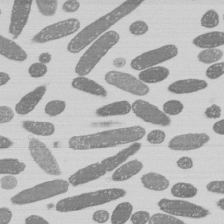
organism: E. coli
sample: Bacterial nucleoid